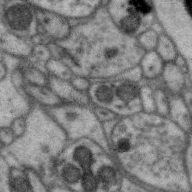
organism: Zebra finch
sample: Brain